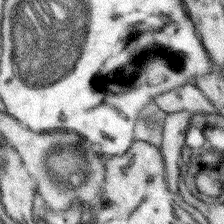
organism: Mouse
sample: Somatosensory cortex neuropil